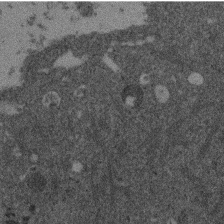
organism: Mouse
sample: Dividing mouse embryo 1 cell stage